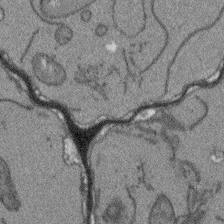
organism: Arabidopsis thaliana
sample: Root tip